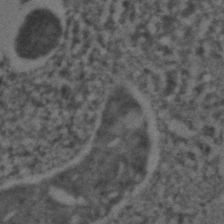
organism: C. elegans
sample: C. elegans embryo